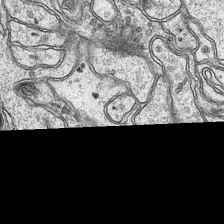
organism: Mouse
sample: CA1 Hippocampus